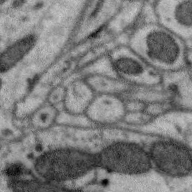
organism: Zebra finch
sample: Brain